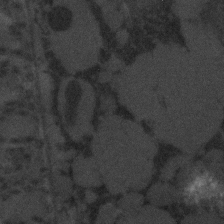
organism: C. elegans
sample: C. elegans embryo